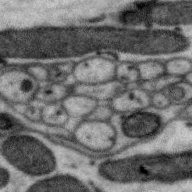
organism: Zebra finch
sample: Brain